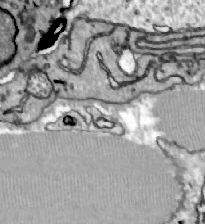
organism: Zebrafish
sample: Actinotrichia fibers